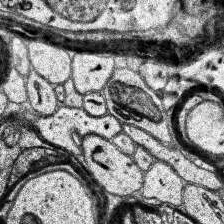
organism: Human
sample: Temporal Lobe